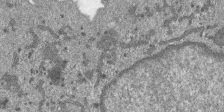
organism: Human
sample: Lung epithelial cells infected with SARS-CoV-2